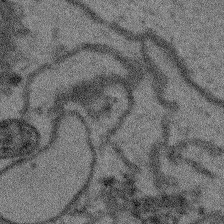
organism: Arabidopsis thaliana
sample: Root tip